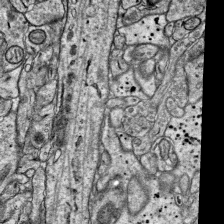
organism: Mouse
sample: Visual Cortex